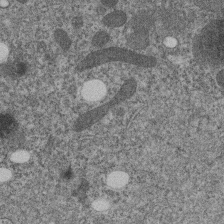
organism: C. elegans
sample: C. elegans embryo early stage